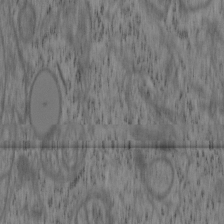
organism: Human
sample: HeLa cells